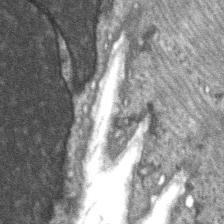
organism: C57BL Mouse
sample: Soleus